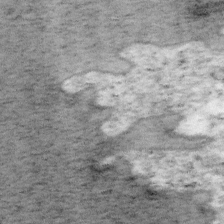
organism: Mouse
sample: OT-I killer T cells with ID8 ovarian cancer cells